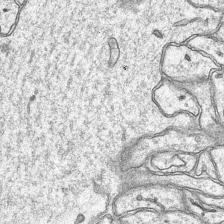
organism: Mouse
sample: CA1 Hippocampus